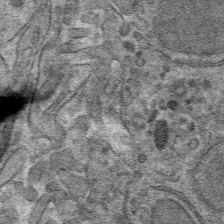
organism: Mouse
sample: Mouse hepatocytes